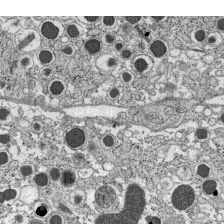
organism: C57BL Mouse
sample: Pancreatic islet